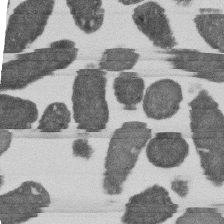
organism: E. coli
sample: Bacterial nucleoid